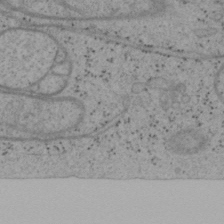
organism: Human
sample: HeLa cells